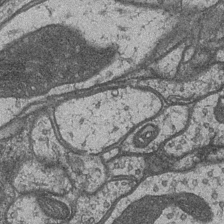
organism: Drosophila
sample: Optic medulla